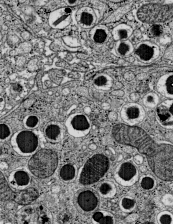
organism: C57BL Mouse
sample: Pancreatic islet